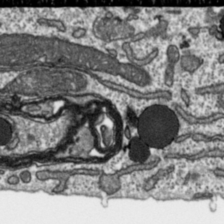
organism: Toxoplasma gondii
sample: Parasites in a vacuole inside a host cell